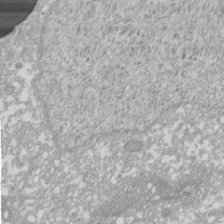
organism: Xenopus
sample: Cilia; centrioles in frog embryo cells